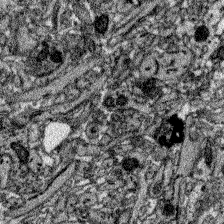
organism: Zebrafish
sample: Larval olfactory bulb